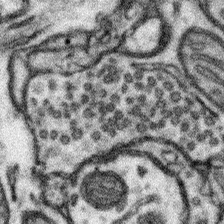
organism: Mouse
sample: Somatosensory cortex neuropil